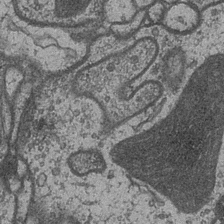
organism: Drosophila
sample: Optic medulla